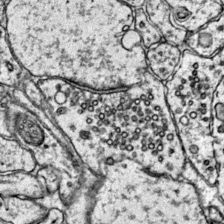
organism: Mouse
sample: Primary visual cortex